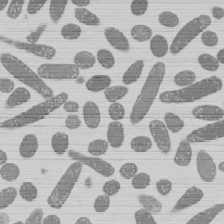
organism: E. coli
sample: Bacterial nucleoid